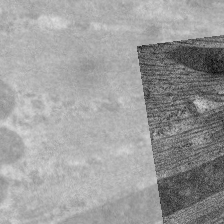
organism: C. elegans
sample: Pharynx